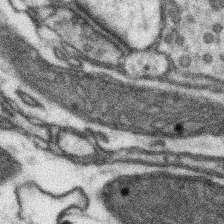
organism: Mouse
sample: Somatosensory cortex neuropil